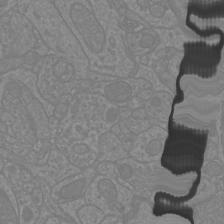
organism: Mouse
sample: Cortical neurons